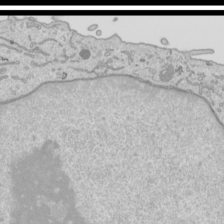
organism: Human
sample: Mitochondria in HCT116 cells